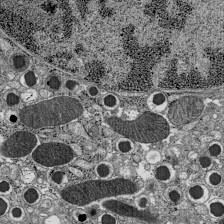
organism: C57BL Mouse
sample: Pancreatic islet